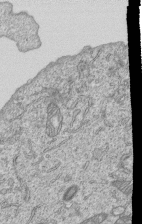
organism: Human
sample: MDA-MB-231 cells